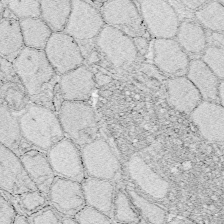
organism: Zebrafish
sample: Whole-Brain